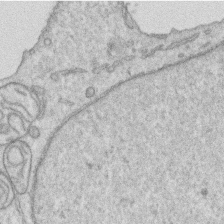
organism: Human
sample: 1205lu cells